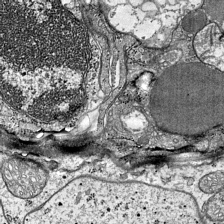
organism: Mouse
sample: Visual Cortex